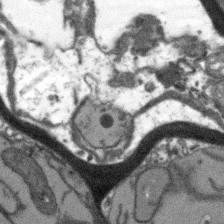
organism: Arabidopsis thaliana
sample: Root tip